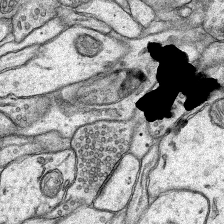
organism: Rat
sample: Hippocampus